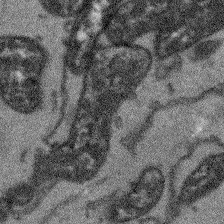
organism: Arabidopsis thaliana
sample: Root tip